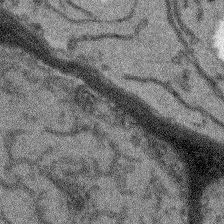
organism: Arabidopsis thaliana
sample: Root tip